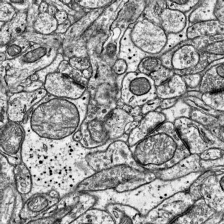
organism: Mouse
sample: Visual Cortex